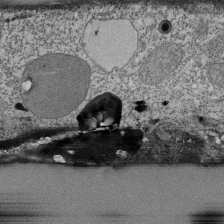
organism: Tetrahymena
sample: Cilia in tetrahymena